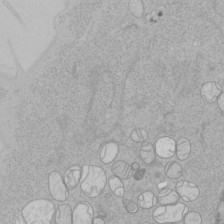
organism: Human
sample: Mitochondria in HCT116 cells